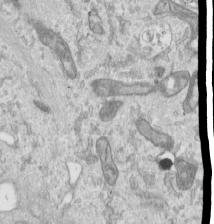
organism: Human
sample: Centriole in RPE cells